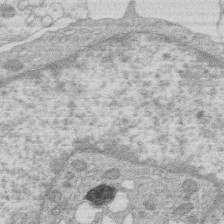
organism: Human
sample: Macrophage cells